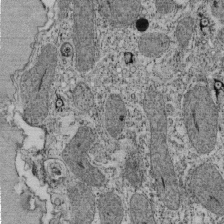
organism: Tetrahymena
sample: Cilia in tetrahymena